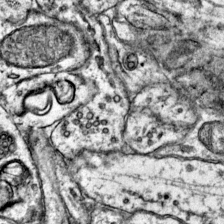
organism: Mouse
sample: Primary visual cortex